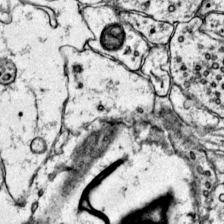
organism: Mouse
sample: Primary visual cortex